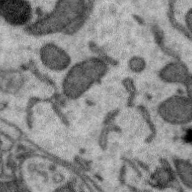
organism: Zebra finch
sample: Brain